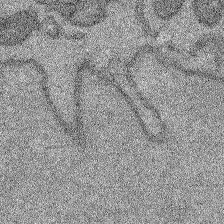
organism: Human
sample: HeLa cells